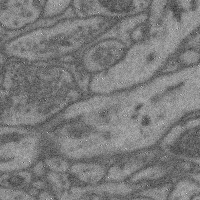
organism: Mouse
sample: Cerebral cortex